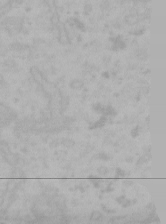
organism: Mouse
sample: Choroid plexus